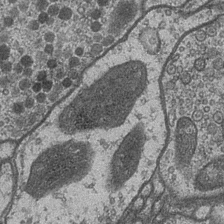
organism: Drosophila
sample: Optic medulla